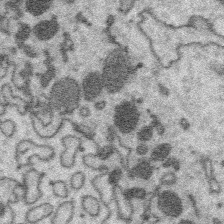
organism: Platynereis dumerilii